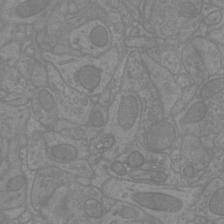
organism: Mouse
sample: Cortical neurons